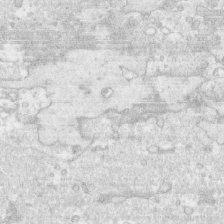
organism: Human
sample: CRL-1474